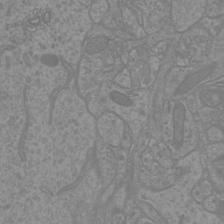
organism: Mouse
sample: Cortical neurons